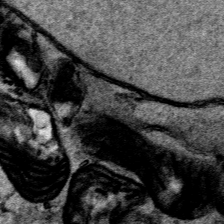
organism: Human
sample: Mitochondria in HCT116 cells